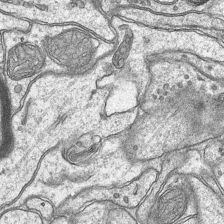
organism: Mouse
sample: CA1 Hippocampus